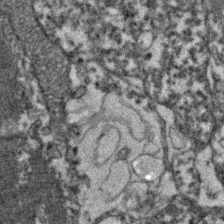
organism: Zebrafish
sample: Zebrafish embryo